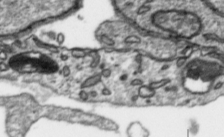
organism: Toxoplasma gondii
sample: Parasites in a vacuole inside a host cell